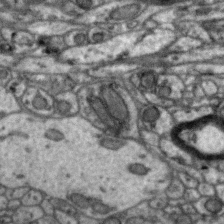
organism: Zebra finch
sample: Brain